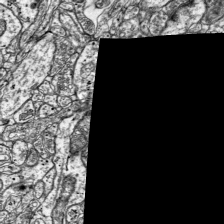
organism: Mouse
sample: Visual Cortex